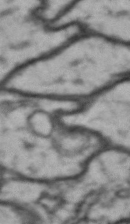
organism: Drosophila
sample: Brain